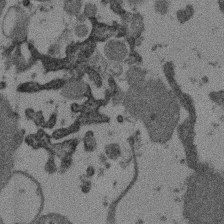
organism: Mouse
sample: Dividing mouse embryo 1 cell stage